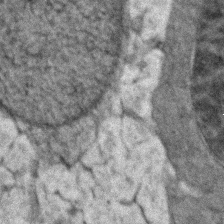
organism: Zebrafish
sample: Zebrafish embryo